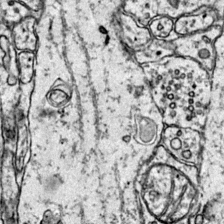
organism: Mouse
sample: Primary visual cortex